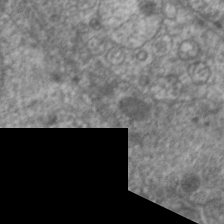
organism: C. elegans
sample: Pharynx